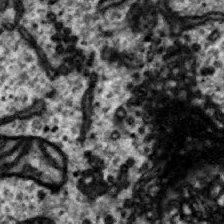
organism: Human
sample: HeLa cells